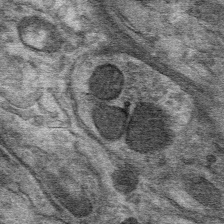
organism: Mouse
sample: Mouse Salivary gland